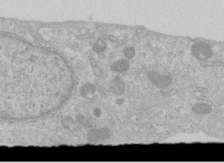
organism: Human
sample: Centriole in RPE cells